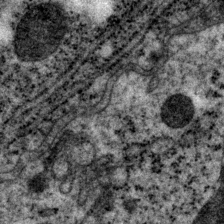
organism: P. pacificus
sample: Pharynx